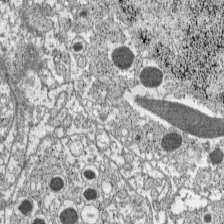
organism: C57BL Mouse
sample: Pancreatic islet